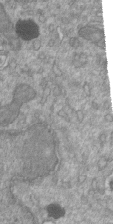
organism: Mouse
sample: ED-1 cell nuclei; centrioles